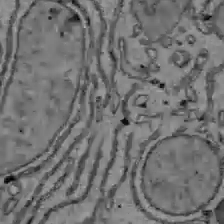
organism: C57BL Mouse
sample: Liver